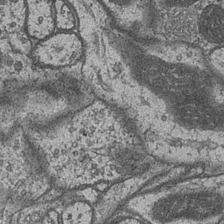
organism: Drosophila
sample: Optic medulla